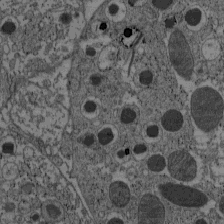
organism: C57BL Mouse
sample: Pancreatic islet